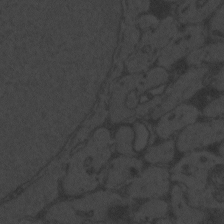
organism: Zebrafish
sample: Macrophage infected with Toxoplasma gondii